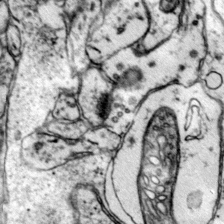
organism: Mouse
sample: Primary visual cortex